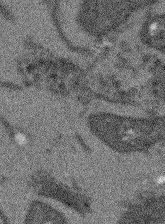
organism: Arabidopsis thaliana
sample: Root tip